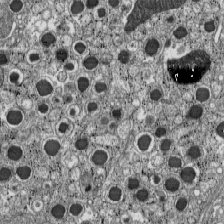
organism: C57BL Mouse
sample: Pancreatic islet